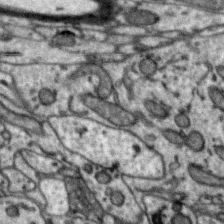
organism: Zebra finch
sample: Brain